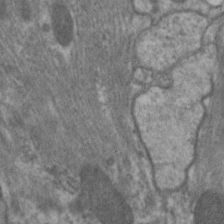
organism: C. elegans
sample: Pharynx